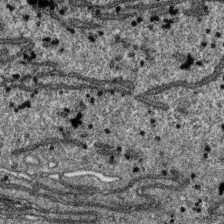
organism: Human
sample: Lung epithelial cells infected with SARS-CoV-2